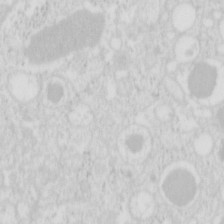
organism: Mouse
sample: Pancreas